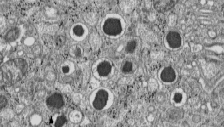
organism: C57BL Mouse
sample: Pancreatic islet